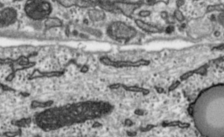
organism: Toxoplasma gondii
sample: Parasites in a vacuole inside a host cell